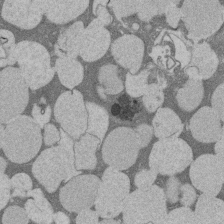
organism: Rat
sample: Salivary granule